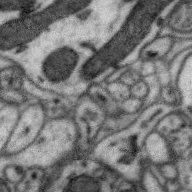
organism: Zebra finch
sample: Brain